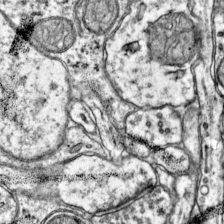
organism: Mouse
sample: Primary visual cortex